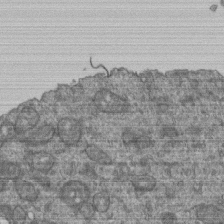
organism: Human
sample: Retinal organoid Rod and Cone cells